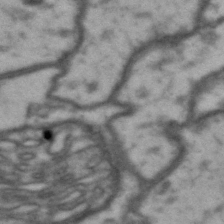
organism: Drosophila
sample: Brain